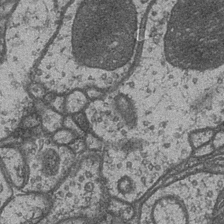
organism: Drosophila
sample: Optic medulla